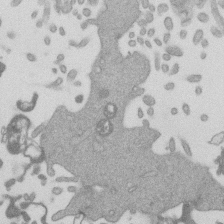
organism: Mouse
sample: Dividing mouse embryo 1 cell stage